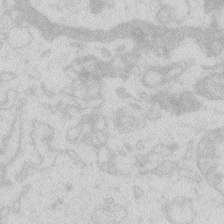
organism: Zebrafish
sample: Macrophage